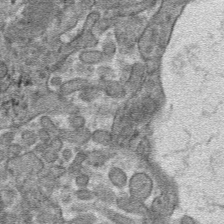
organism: Mouse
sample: Mouse hepatocytes